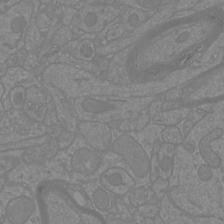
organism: Mouse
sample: Cortical neurons